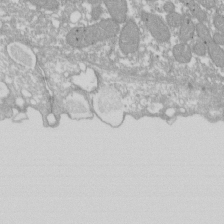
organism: Xenopus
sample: Cilia; centrioles in frog embryo cells